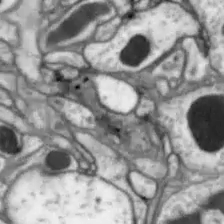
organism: Drosophila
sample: Optic lobe